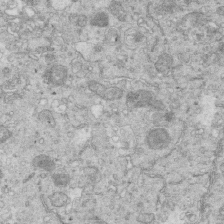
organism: Mouse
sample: Multiciliated cells